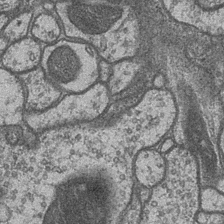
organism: Drosophila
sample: Optic medulla